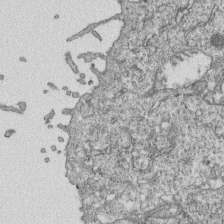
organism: Human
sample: HeLa cell HIV synapse